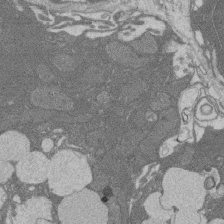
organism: Rat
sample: Salivary granule